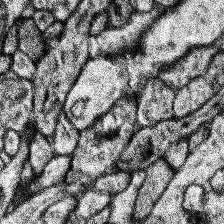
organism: Human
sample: Temporal Lobe